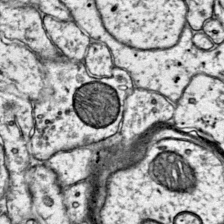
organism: Mouse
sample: Primary visual cortex